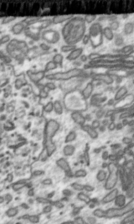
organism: Toxoplasma gondii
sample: Parasites in a vacuole inside a host cell